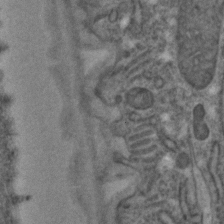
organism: C. elegans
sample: C. elegans embryo